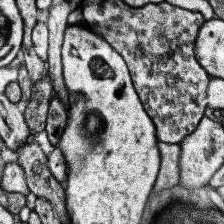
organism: Human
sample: Temporal Lobe